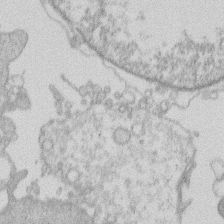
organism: Human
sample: Macrophage cells